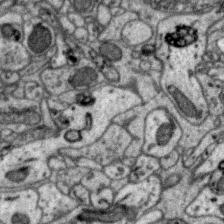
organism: Zebra finch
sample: Brain